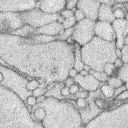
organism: Rabbit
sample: Retina